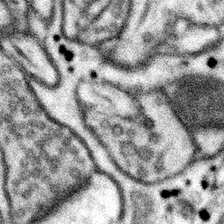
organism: Mouse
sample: Somatosensory cortex neuropil